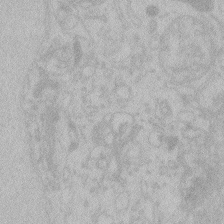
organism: Zebrafish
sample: Macrophage infected with Toxoplasma gondii